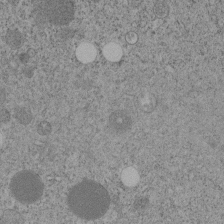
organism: C. elegans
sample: C. elegans embryo early stage